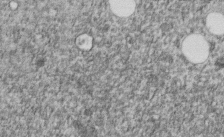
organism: C. elegans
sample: C. elegans embryo early stage